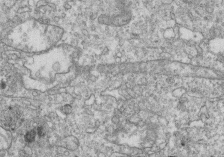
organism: Human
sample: HeLa cell HIV synapse